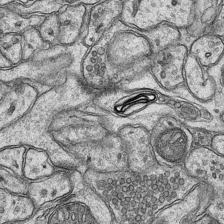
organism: Mouse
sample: CA1 Hippocampus